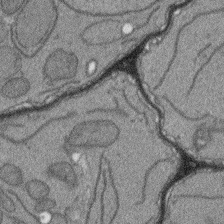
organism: Arabidopsis thaliana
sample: Root tip